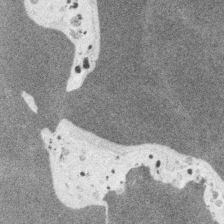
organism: Embia sp.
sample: Silk gland